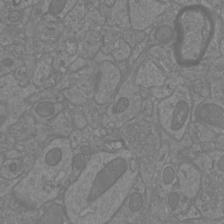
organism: Mouse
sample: Cortical neurons